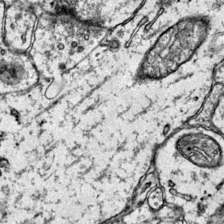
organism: Mouse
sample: Primary visual cortex